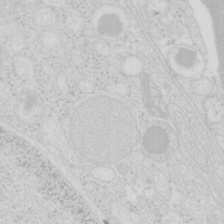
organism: Mouse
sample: Pancreas